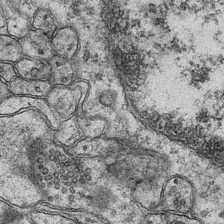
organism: Mouse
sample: CA1 Hippocampus